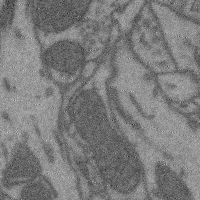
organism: Mouse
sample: Cerebral cortex